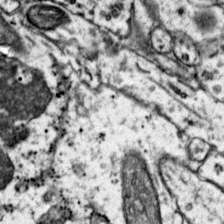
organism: Mouse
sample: Primary visual cortex